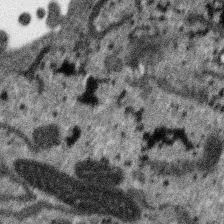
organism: Human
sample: Lung epithelial cells infected with SARS-CoV-2